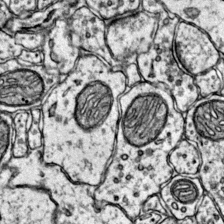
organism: Mouse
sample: Primary visual cortex